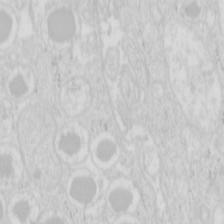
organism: Mouse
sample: Pancreas